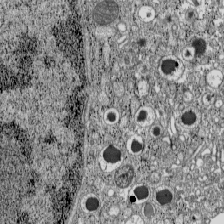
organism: C57BL Mouse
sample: Pancreatic islet